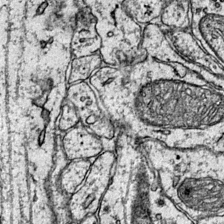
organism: Mouse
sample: Primary visual cortex